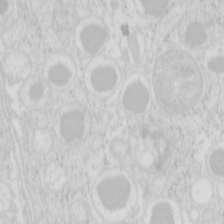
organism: Mouse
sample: Pancreas